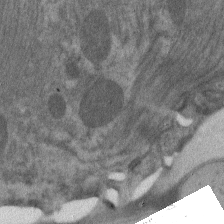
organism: C. elegans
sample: Pharynx